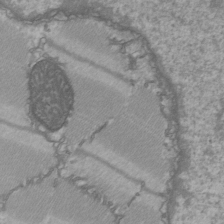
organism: C57BL Mouse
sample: Heart